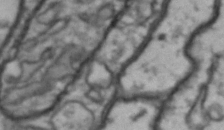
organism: Drosophila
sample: Brain